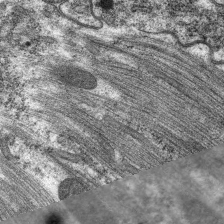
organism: C. elegans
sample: Pharynx